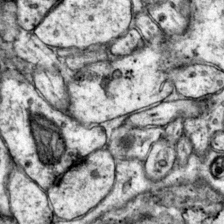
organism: Mouse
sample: Primary visual cortex